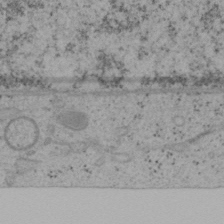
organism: Human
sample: HeLa cells